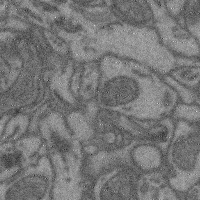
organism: Mouse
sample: Cerebral cortex